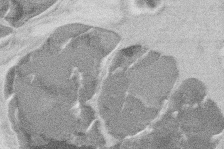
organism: Mouse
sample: T cell stromal cell synapse